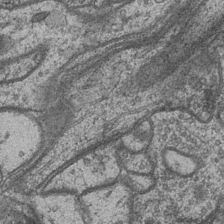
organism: Drosophila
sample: Optic medulla